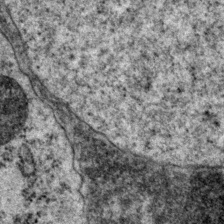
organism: P. pacificus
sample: Pharynx